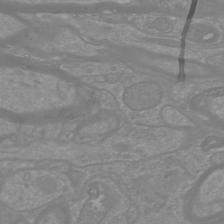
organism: Mouse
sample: Cortical neurons